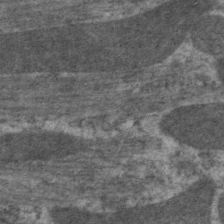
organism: C. elegans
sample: Pharynx